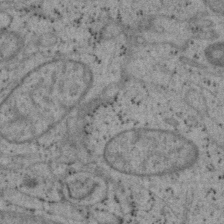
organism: Human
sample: HeLa cells